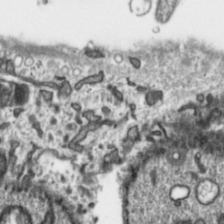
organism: Toxoplasma gondii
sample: Parasites in a vacuole inside a host cell